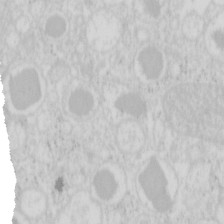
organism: Mouse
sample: Pancreas